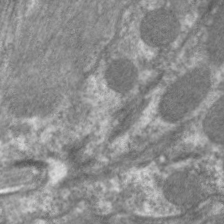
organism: C. elegans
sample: Pharynx